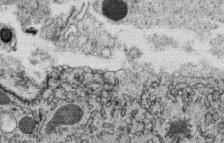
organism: C. elegans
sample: C. elegans oocyte; sperm cells